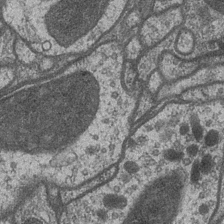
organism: Drosophila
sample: Optic medulla